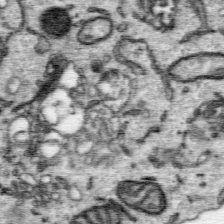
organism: Human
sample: HeLa cells